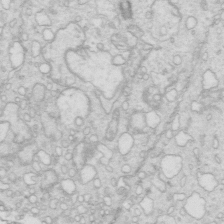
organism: Mouse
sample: Multiciliated cells